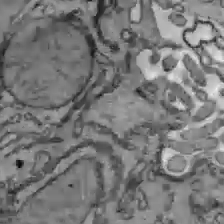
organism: C57BL Mouse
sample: Liver